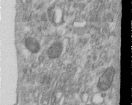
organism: Human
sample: Centriole in RPE cells